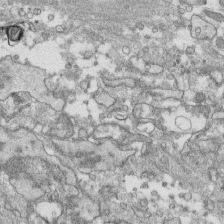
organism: Human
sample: CRL-1474